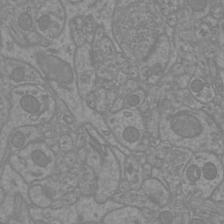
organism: Mouse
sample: Cortical neurons